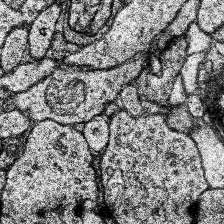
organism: Human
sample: Temporal Lobe